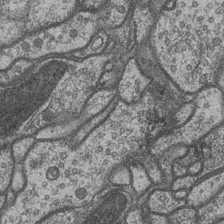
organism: Drosophila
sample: Optic medulla